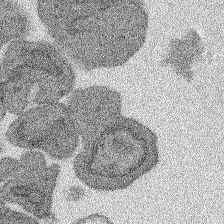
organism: Human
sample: HeLa cells